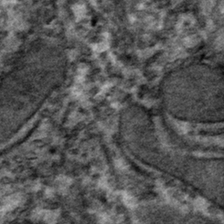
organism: Mouse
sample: Mouse hepatocytes